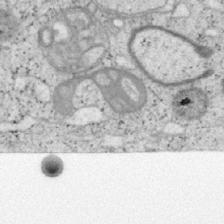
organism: Mouse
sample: OT-I killer T cells with ID8 ovarian cancer cells